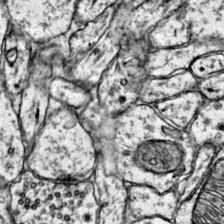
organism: Mouse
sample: Primary visual cortex